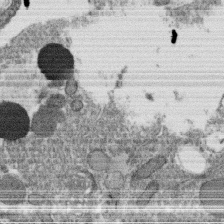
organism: C. elegans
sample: C. elegans oocyte; sperm cells